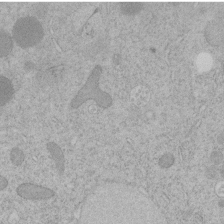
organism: C. elegans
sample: C. elegans embryo early stage